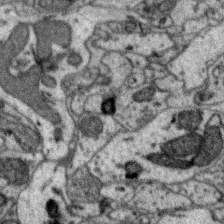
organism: Zebra finch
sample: Brain